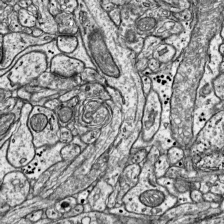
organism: Mouse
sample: Visual Cortex